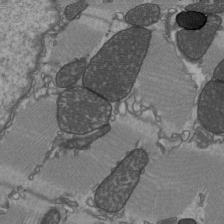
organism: C57BL Mouse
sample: Heart